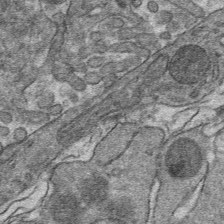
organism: Mouse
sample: Mouse hepatocytes